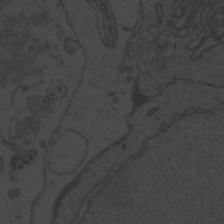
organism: Zebrafish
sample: Macrophage infected with Toxoplasma gondii